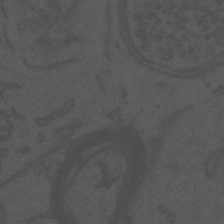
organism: Mouse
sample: Suprachiasmatic nucleus